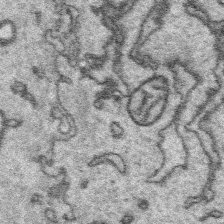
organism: Platynereis dumerilii